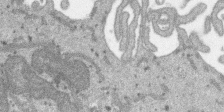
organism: Human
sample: Lung epithelial cells infected with SARS-CoV-2